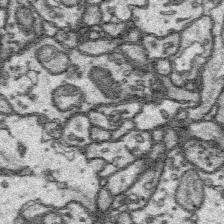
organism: Platynereis dumerilii